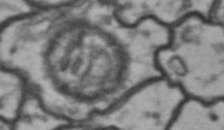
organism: Drosophila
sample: Brain